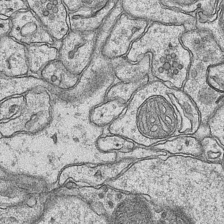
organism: Mouse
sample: CA1 Hippocampus